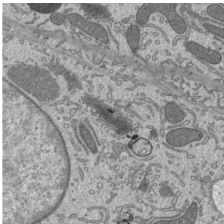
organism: Mouse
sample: Mouse epididymis efferent ductule cilia